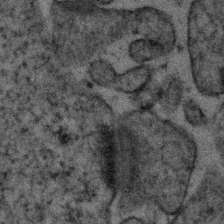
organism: Human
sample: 1205lu cells